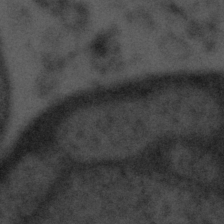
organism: Tuwongella immobilis